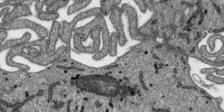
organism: Human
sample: Lung epithelial cells, uninfected (mock) control